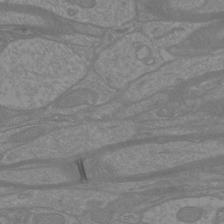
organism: Mouse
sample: Cortical neurons